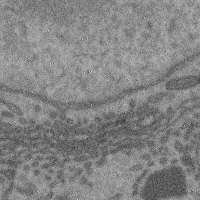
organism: Mouse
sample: Cerebral cortex